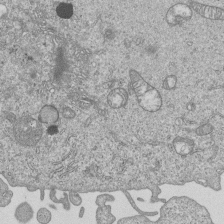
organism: Human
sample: MDA-MB-231 cells